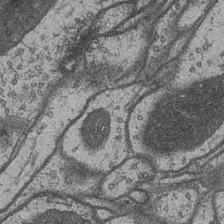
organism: Drosophila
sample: Optic medulla